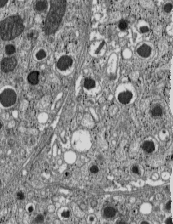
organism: C57BL Mouse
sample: Pancreatic islet